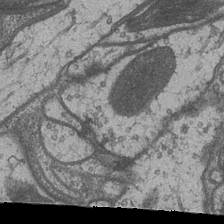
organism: Drosophila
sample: Optic medulla